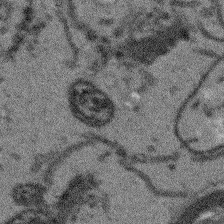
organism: Arabidopsis thaliana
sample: Root tip